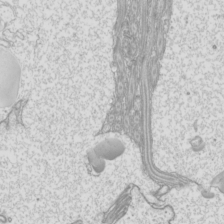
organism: Mouse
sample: Cilia; mouse epididymis